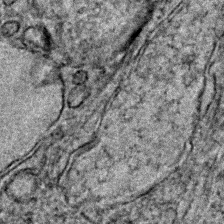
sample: Trachea